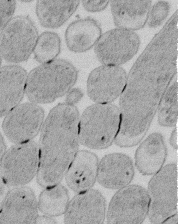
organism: E. coli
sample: Bacterial nucleoid